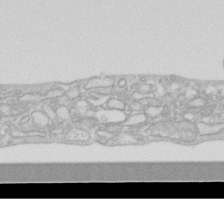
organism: Human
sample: Fibroblast cells